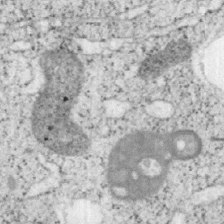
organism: Mouse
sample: OT-I killer T cells with ID8 ovarian cancer cells